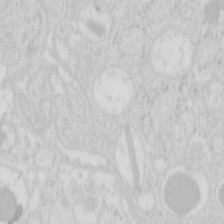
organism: Mouse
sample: Pancreas